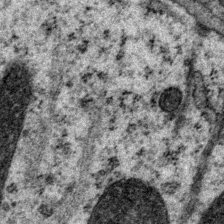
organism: P. pacificus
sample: Pharynx